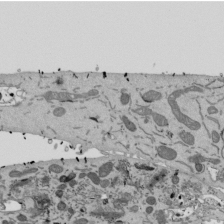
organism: Mouse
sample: ED-1 cell nuclei; centrioles